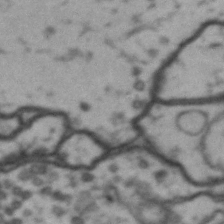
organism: Drosophila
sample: Brain